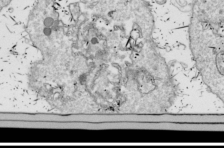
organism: Drosophila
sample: Cell division; meiosis; drosophila spermatocytes